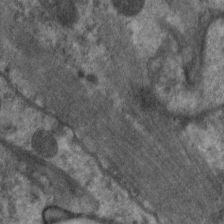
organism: C. elegans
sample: Pharynx